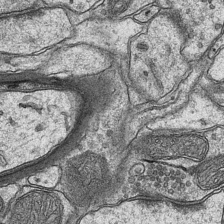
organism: Mouse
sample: CA1 Hippocampus